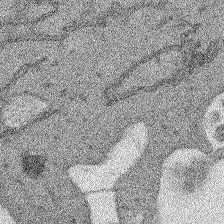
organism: Human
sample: HeLa cells